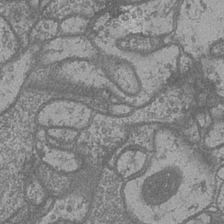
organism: Drosophila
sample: Optic medulla